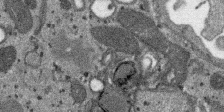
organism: Human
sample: Lung epithelial cells infected with SARS-CoV-2